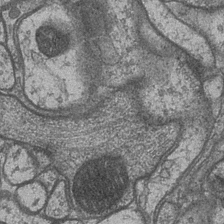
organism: Drosophila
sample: Optic medulla